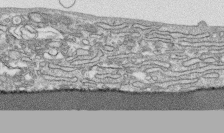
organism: Human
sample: CRL-1474